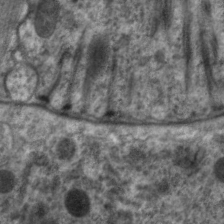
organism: C. elegans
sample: Pharynx